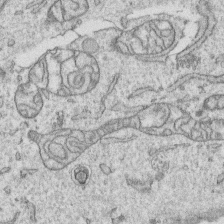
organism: Human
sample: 1205lu cells